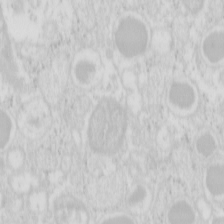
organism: Mouse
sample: Pancreas